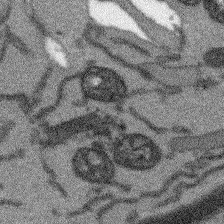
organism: Arabidopsis thaliana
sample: Root tip